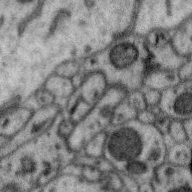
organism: Zebra finch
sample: Brain